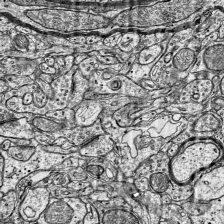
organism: Mouse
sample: Visual Cortex